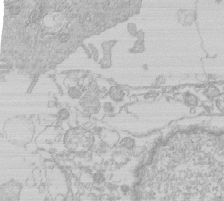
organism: Human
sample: Macrophage cells